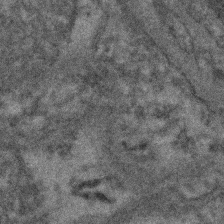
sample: Kidney